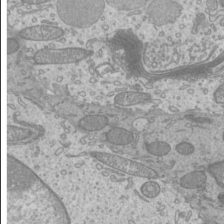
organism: Mouse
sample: Cilia; mouse epididymis